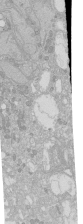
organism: Human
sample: Caco-2 cells